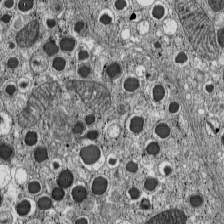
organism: C57BL Mouse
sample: Pancreatic islet